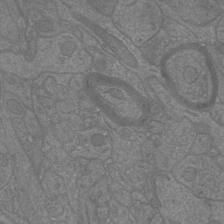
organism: Mouse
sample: Cortical neurons